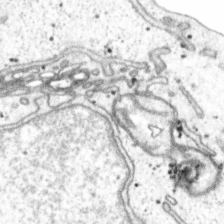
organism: Human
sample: HeLa cells